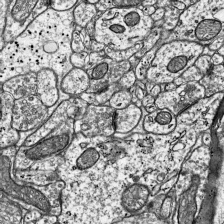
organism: Mouse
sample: Visual Cortex